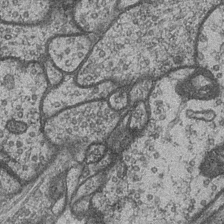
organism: Drosophila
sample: Optic medulla